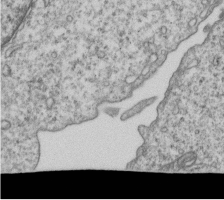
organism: Human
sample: MDA-MB-231 cells